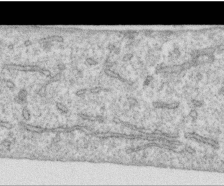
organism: Human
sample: Centriole in RPE cells